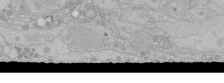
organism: Human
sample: Caco-2 cells